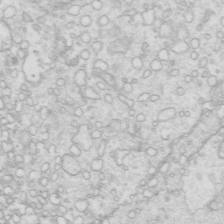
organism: Mouse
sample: Multiciliated cells